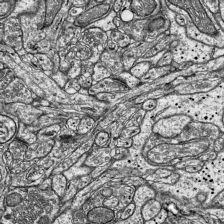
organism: Mouse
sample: Visual Cortex